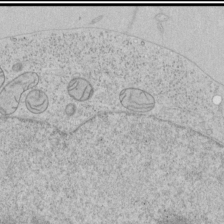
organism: Human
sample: Mitochondria in HCT116 cells